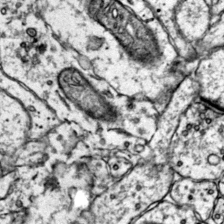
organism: Mouse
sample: Primary visual cortex